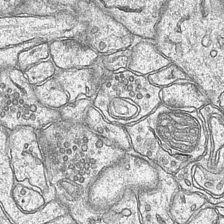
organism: Mouse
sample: CA1 Hippocampus